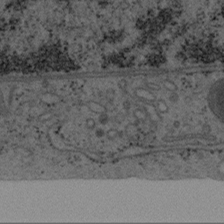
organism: Human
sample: HeLa cells